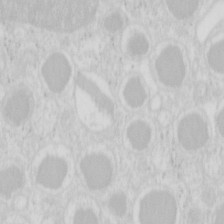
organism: Mouse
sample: Pancreas